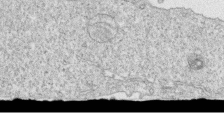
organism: Human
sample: HeLa cell HIV synapse